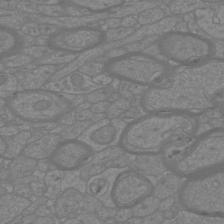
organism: Mouse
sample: Cortical neurons